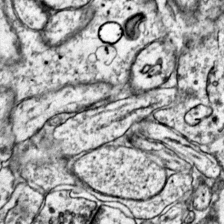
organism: Mouse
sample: Primary visual cortex